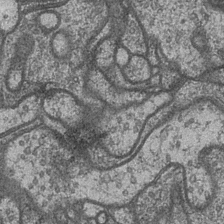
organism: Drosophila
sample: Optic medulla